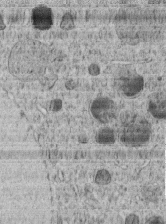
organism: C. elegans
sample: C. elegans embryo early stage